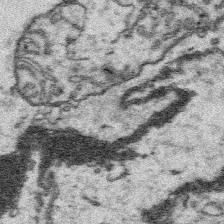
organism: Platynereis dumerilii